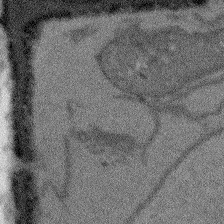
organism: Arabidopsis thaliana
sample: Root tip